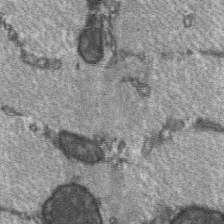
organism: C57BL Mouse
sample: Soleus